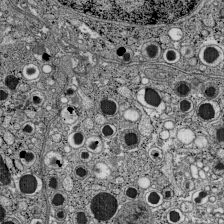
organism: C57BL Mouse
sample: Pancreatic islet